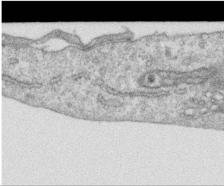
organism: Human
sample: Centriole in RPE cells